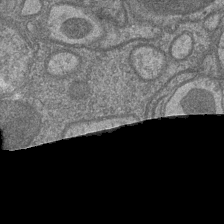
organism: Drosophila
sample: Optic medulla